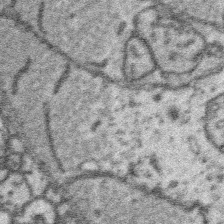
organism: Platynereis dumerilii